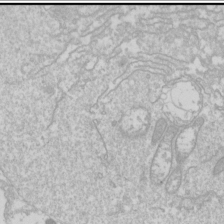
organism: Drosophila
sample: Cell division; meiosis; drosophila spermatocytes